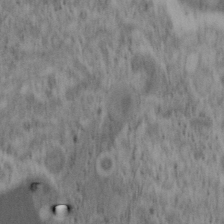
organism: Mouse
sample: OT-I killer T cells with ID8 ovarian cancer cells